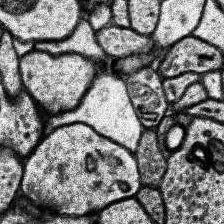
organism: Human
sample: Temporal Lobe